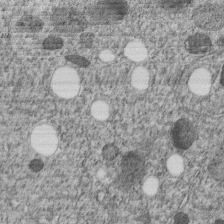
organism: C. elegans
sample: C. elegans embryo early stage